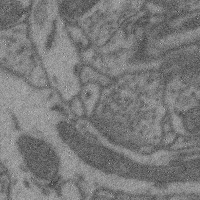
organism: Mouse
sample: Cerebral cortex